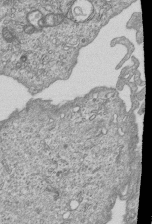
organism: Human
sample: MDA-MB-231 cells